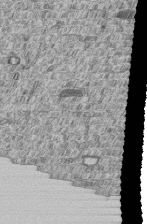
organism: Human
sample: MDA-MB-231 cells